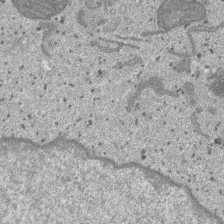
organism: Human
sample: Lung epithelial cells infected with SARS-CoV-2